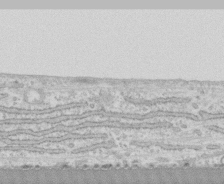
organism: Human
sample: CRL-1474